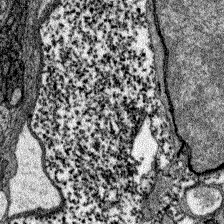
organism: Zebrafish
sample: Larval olfactory bulb